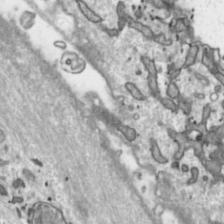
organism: Toxoplasma gondii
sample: Parasites in a vacuole inside a host cell